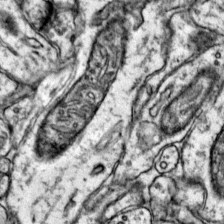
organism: Mouse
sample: Primary visual cortex